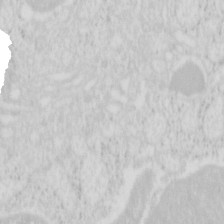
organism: Mouse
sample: Pancreas